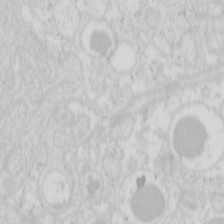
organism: Mouse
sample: Pancreas